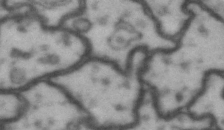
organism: Drosophila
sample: Brain